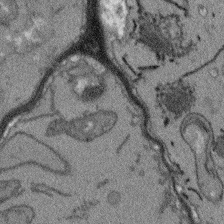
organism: Arabidopsis thaliana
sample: Root tip